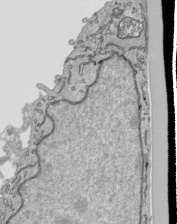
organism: Human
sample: Mitochondria in HCT116 cells